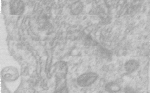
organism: Human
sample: Centriole in RPE cells